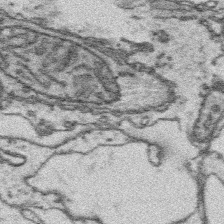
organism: Platynereis dumerilii